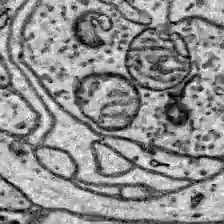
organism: Zebrafish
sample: Brain